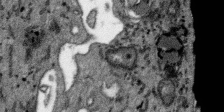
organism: Human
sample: Lung epithelial cells, uninfected (mock) control